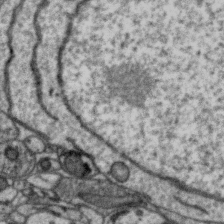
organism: Zebra finch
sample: Brain